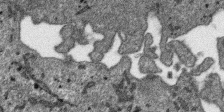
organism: Human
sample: Lung epithelial cells infected with SARS-CoV-2